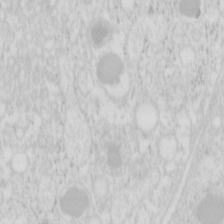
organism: Mouse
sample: Pancreas